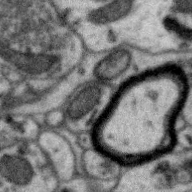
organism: Zebra finch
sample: Brain